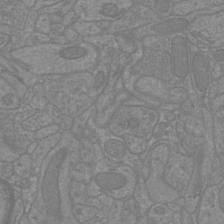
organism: Mouse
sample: Cortical neurons